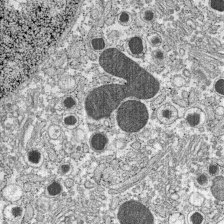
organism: C57BL Mouse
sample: Pancreatic islet